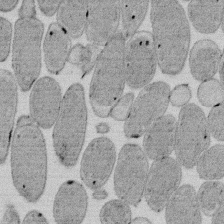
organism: E. coli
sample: Bacterial nucleoid